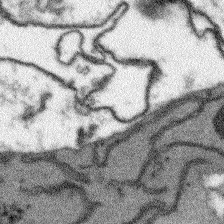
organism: Arabidopsis thaliana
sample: Root tip